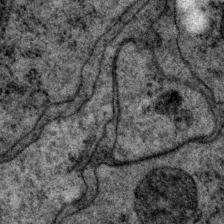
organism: P. pacificus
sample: Pharynx